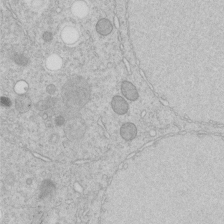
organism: C. elegans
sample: C. elegans embryo early stage